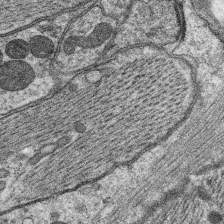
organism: C. elegans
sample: Pharynx